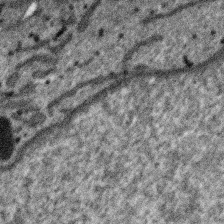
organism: Human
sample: Lung epithelial cells infected with SARS-CoV-2